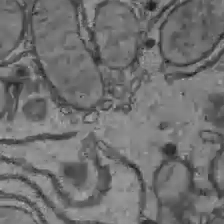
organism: C57BL Mouse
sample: Liver